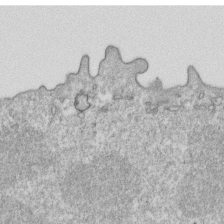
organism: Mouse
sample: Activated OT-1 CD8+ T cells